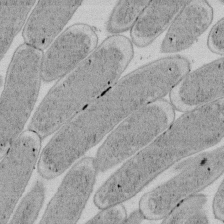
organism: E. coli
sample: Bacterial nucleoid